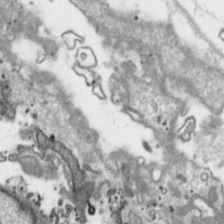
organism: Toxoplasma gondii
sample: Parasites in a vacuole inside a host cell